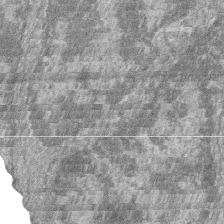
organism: Zebrafish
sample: Cilia; retinal pigment epithelium